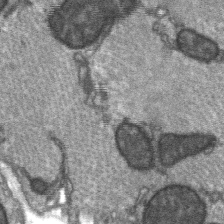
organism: C57BL Mouse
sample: Soleus